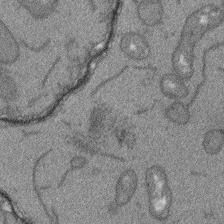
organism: Arabidopsis thaliana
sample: Root tip